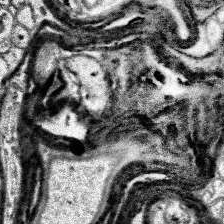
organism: Human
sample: Temporal Lobe